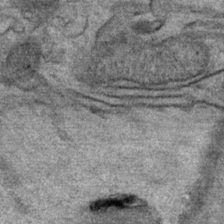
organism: Mouse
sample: Mouse Salivary gland